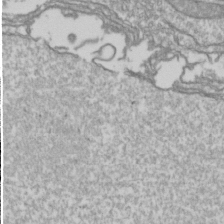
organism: Drosophila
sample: Cell division; meiosis; drosophila spermatocytes